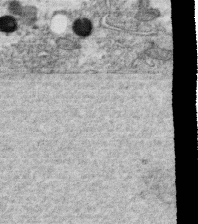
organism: C. elegans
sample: C. elegans oocyte; sperm cells